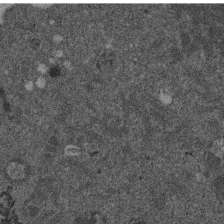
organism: Mouse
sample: Dividing mouse embryo 1 cell stage